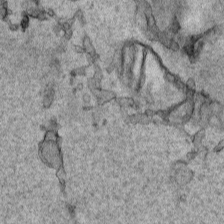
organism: Human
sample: Mitochondria in HCT116 cells